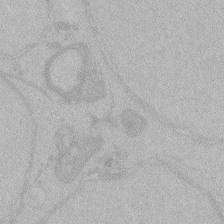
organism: Zebrafish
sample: Macrophage infected with Toxoplasma gondii